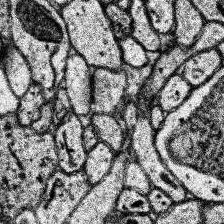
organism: Human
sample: Temporal Lobe